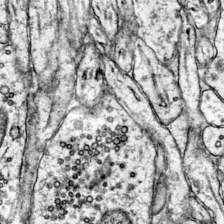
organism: Mouse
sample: Primary visual cortex